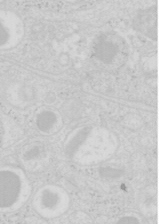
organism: Mouse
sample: Pancreas